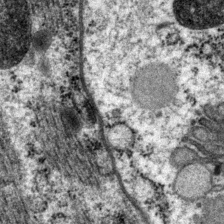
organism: P. pacificus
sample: Pharynx